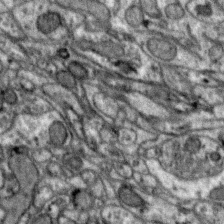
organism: Zebra finch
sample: Brain